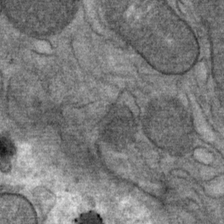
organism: Mouse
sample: Mouse Salivary gland